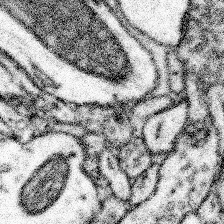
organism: Mouse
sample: Somatosensory cortex neuropil